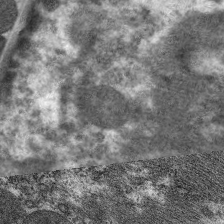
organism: C. elegans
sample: Pharynx